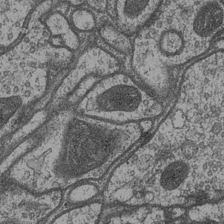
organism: Drosophila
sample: Optic medulla